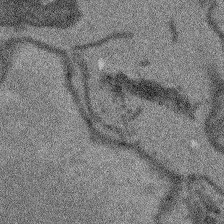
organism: Arabidopsis thaliana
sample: Root tip